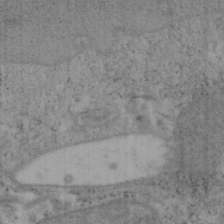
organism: Mouse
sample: OT-I killer T cells with ID8 ovarian cancer cells